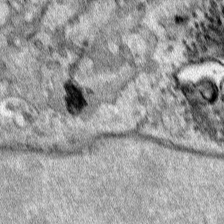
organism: Human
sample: Mitochondria in HCT116 cells